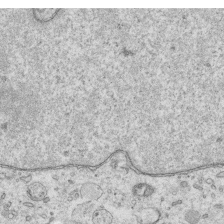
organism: Human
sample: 1205lu cells